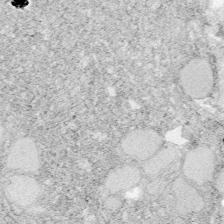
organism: Zebrafish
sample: Whole-Brain